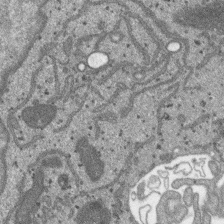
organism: Human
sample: Lung epithelial cells infected with SARS-CoV-2